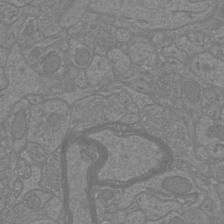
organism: Mouse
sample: Cortical neurons